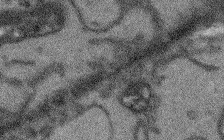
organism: Arabidopsis thaliana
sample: Root tip